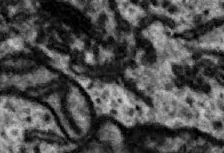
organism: Human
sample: HeLa cells